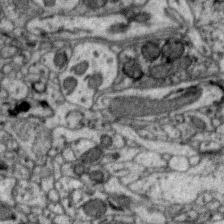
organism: Zebra finch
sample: Brain